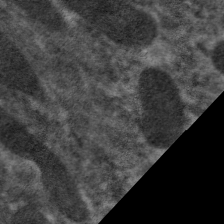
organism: C. elegans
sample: Pharynx